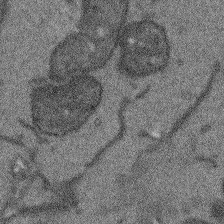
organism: Arabidopsis thaliana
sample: Root tip